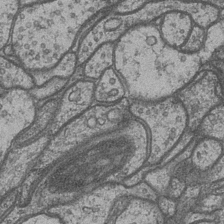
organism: Drosophila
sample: Optic medulla